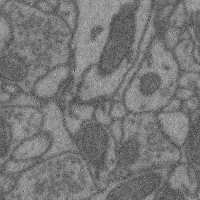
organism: Mouse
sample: Cerebral cortex